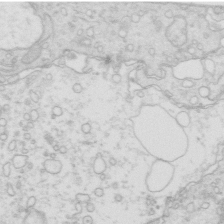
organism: Mouse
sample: Multiciliated cells